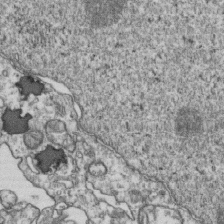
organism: Human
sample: Activated Jurkat CD4+ T cells